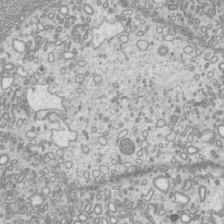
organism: Mouse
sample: Cilia; mouse epididymis